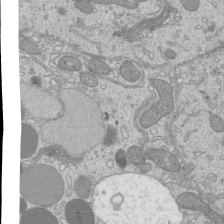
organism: Mouse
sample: Cilia; mouse epididymis